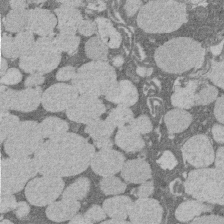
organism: Rat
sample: Salivary granule